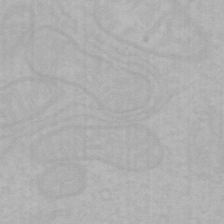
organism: Mouse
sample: Choroid plexus